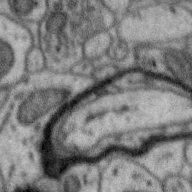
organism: Zebra finch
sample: Brain